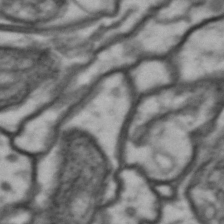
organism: Drosophila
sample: Brain